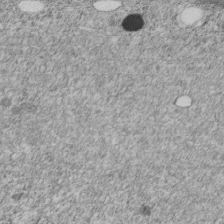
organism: C. elegans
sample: C. elegans embryo early stage